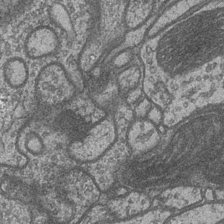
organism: Drosophila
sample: Optic medulla